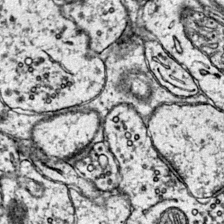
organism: Mouse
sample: Primary visual cortex